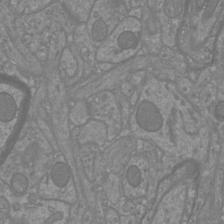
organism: Mouse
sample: Cortical neurons